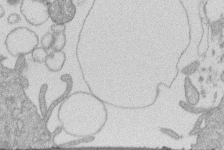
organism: Human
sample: Macrophage cells